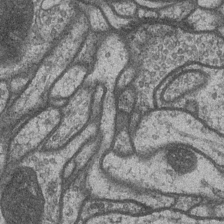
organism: Drosophila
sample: Optic medulla